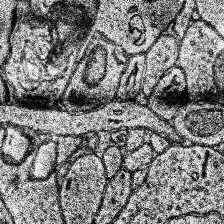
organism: Human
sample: Temporal Lobe